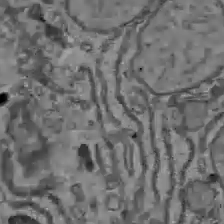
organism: C57BL Mouse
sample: Liver